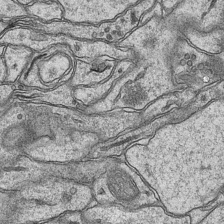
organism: Mouse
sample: CA1 Hippocampus